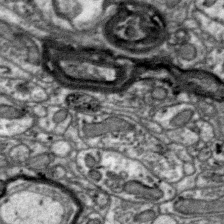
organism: Zebra finch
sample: Brain